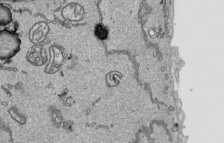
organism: Human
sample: Mitochondria in HCT116 cells